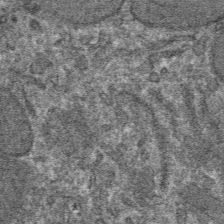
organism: Mouse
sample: Mouse hepatocytes